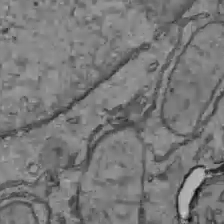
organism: C57BL Mouse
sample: Liver